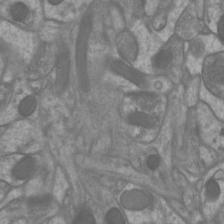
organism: Mouse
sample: Cortical neurons